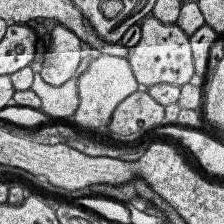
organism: Human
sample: Temporal Lobe